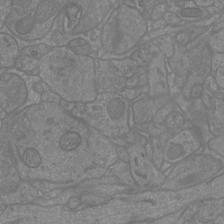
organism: Mouse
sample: Cortical neurons